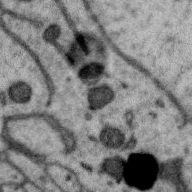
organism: Zebra finch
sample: Brain